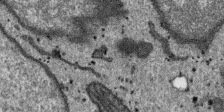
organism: Human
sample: Lung epithelial cells, uninfected (mock) control